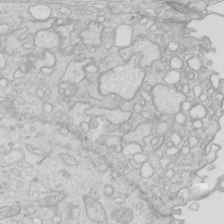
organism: Mouse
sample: Multiciliated cells